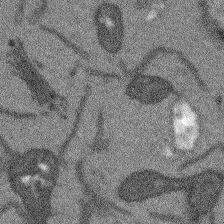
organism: Arabidopsis thaliana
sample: Root tip